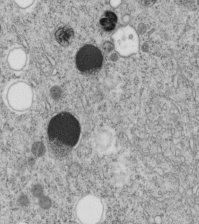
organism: C. elegans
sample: C. elegans embryo early stage